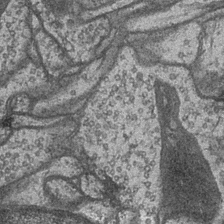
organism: Drosophila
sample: Optic medulla